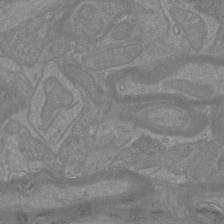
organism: Mouse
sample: Cortical neurons